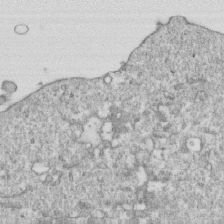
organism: Mouse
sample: Activated OT-1 CD8+ T cells